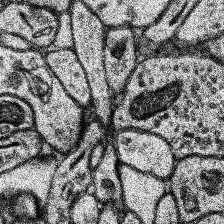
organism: Human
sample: Temporal Lobe